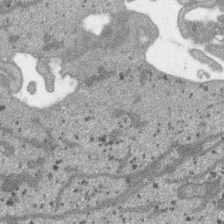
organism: Human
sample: Lung epithelial cells infected with SARS-CoV-2